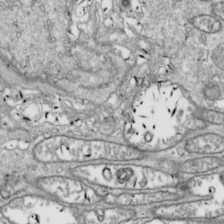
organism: Drosophila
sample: Cell division; meiosis; drosophila spermatocytes